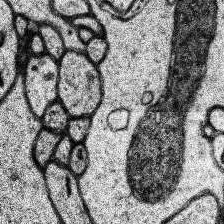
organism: Human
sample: Temporal Lobe